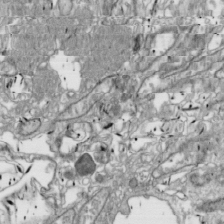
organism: Drosophila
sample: Cell division; meiosis; drosophila spermatocytes